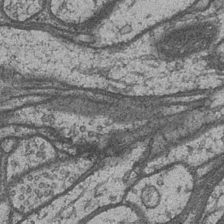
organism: Drosophila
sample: Optic medulla